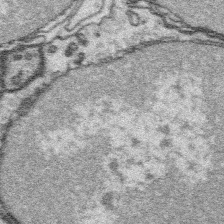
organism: Platynereis dumerilii